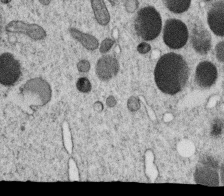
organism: C. elegans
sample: C. elegans oocyte; sperm cells